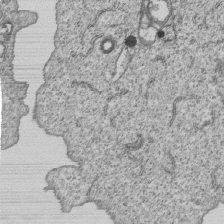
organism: Human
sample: MDA-MB-231 cells